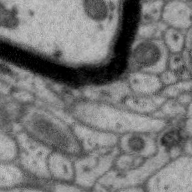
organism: Zebra finch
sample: Brain